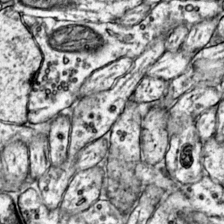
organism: Mouse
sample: Primary visual cortex